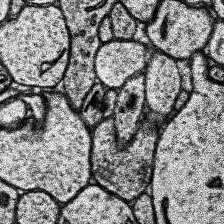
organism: Human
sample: Temporal Lobe